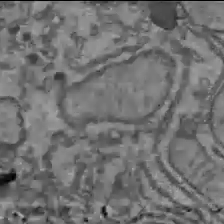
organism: C57BL Mouse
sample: Liver